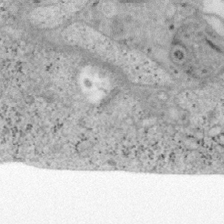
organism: Mouse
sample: OT-I killer T cells with ID8 ovarian cancer cells